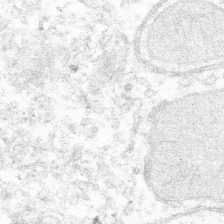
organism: Mouse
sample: Mouse hepatocytes